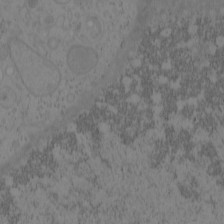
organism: Human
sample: HeLa cells